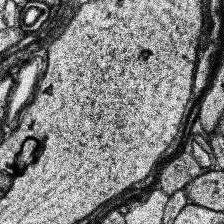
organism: Human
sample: Temporal Lobe